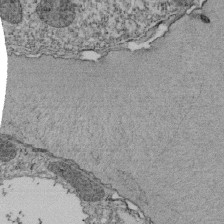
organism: Tetrahymena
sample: Cilia in tetrahymena